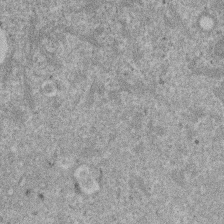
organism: Mouse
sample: Dividing mouse embryo 1 cell stage